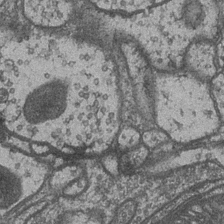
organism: Drosophila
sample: Optic medulla